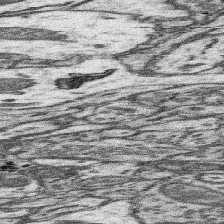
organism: Mouse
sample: Somatosensory cortex neuropil